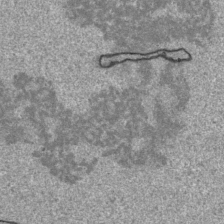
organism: Human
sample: Mitochondria in HCT116 cells